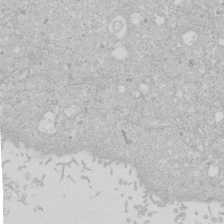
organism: Human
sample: Caco-2 cells